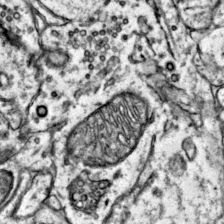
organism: Mouse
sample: Primary visual cortex